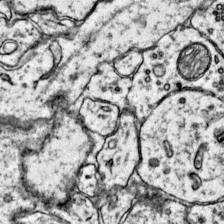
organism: Mouse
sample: Primary visual cortex